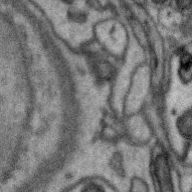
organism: Zebra finch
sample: Brain